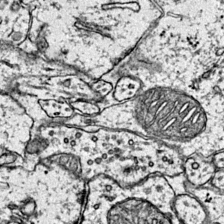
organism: Mouse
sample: Primary visual cortex